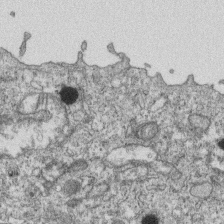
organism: Human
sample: HeLa cell HIV synapse